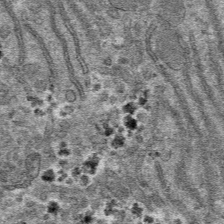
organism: Mouse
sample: Mouse hepatocytes